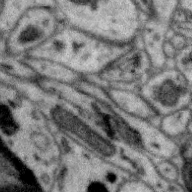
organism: Zebra finch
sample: Brain